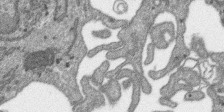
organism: Human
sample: Lung epithelial cells infected with SARS-CoV-2